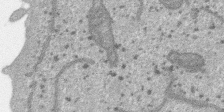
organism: Human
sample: Lung epithelial cells infected with SARS-CoV-2